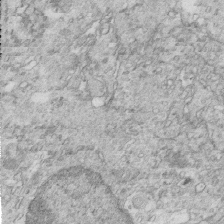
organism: Mouse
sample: Multiciliated cells